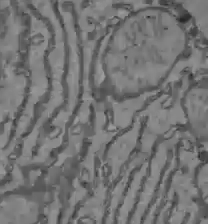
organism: C57BL Mouse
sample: Liver